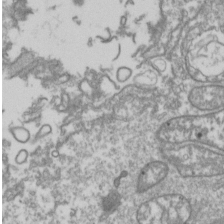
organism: Drosophila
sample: Cell division; meiosis; drosophila spermatocytes